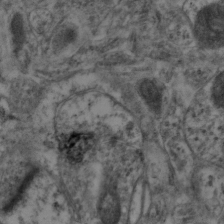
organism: Mouse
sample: Neocortex